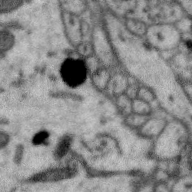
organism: Zebra finch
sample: Brain